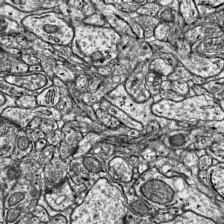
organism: Mouse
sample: Visual Cortex